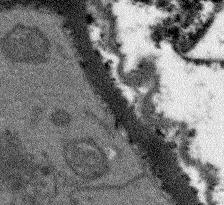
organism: Arabidopsis thaliana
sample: Root tip